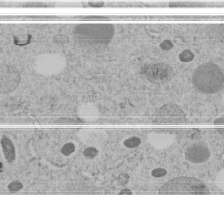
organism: C. elegans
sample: C. elegans embryo early stage